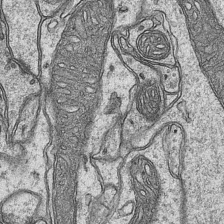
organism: Mouse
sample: CA1 Hippocampus